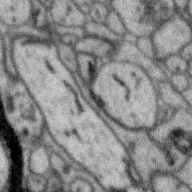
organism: Zebra finch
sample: Brain